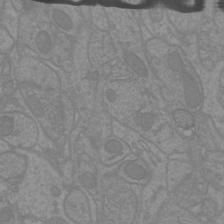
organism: Mouse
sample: Cortical neurons